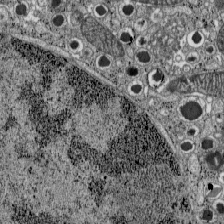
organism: C57BL Mouse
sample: Pancreatic islet